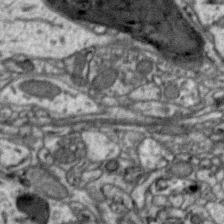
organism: Zebra finch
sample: Brain